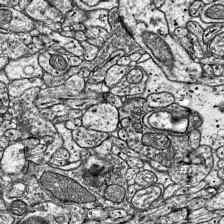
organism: Mouse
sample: Visual Cortex